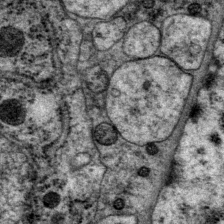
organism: P. pacificus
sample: Pharynx